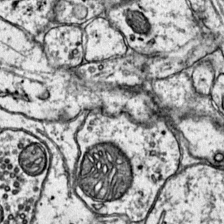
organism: Mouse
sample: Primary visual cortex